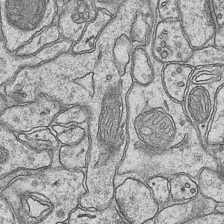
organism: Mouse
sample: CA1 Hippocampus